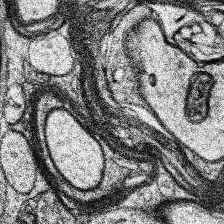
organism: Human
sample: Temporal Lobe